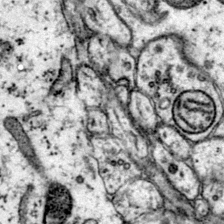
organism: Mouse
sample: Primary visual cortex